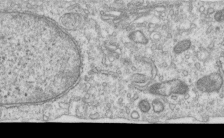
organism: Human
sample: Centriole in RPE cells